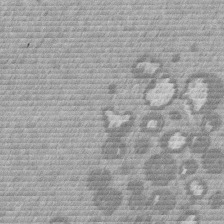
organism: Mouse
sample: Dividing mouse embryo 1 cell stage